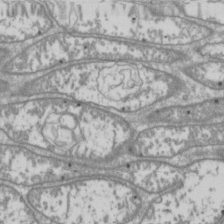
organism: Drosophila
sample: Cell division; meiosis; drosophila spermatocytes